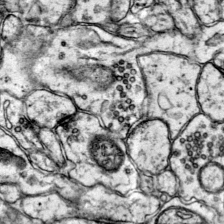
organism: Mouse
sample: Primary visual cortex